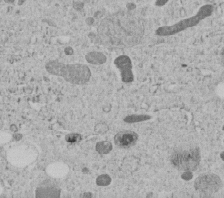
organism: C. elegans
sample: C. elegans embryo early stage